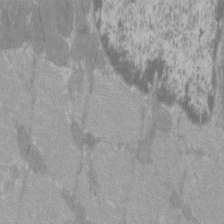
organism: C57BL Mouse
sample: Tibialis anterior muscle cell